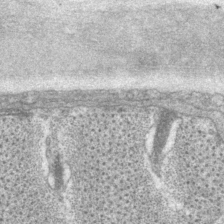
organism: P. pacificus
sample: Pharynx